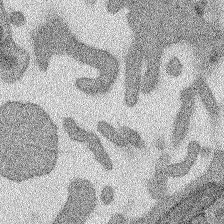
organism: Human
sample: HeLa cells